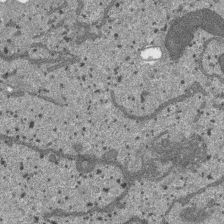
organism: Human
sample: Lung epithelial cells infected with SARS-CoV-2